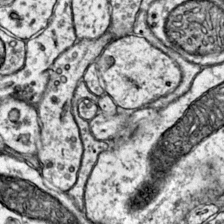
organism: Mouse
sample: Primary visual cortex